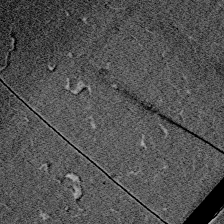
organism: Zebrafish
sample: Whole-Brain